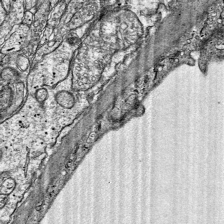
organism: Mouse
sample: Visual Cortex